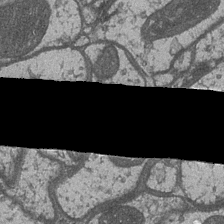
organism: Drosophila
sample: Optic medulla